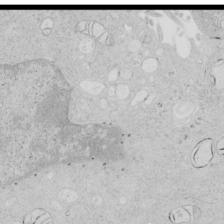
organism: Human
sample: Mitochondria in HCT116 cells